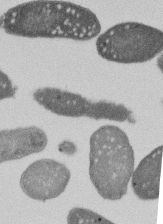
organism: E. coli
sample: Bacterial nucleoid